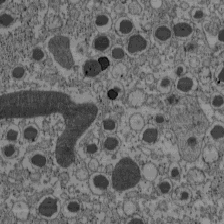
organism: C57BL Mouse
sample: Pancreatic islet